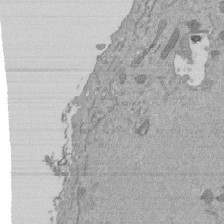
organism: Mouse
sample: ED-1 cell nuclei; centrioles